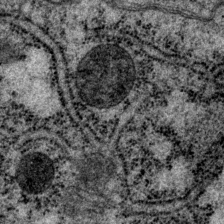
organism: P. pacificus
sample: Pharynx